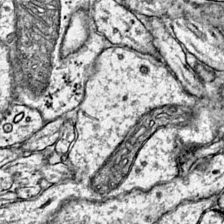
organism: Mouse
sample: Primary visual cortex